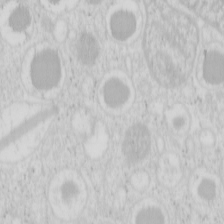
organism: Mouse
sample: Pancreas